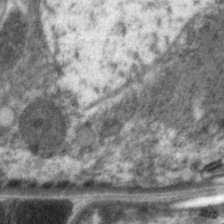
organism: C. elegans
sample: Pharynx